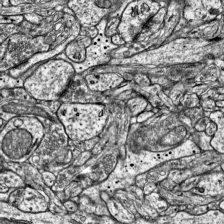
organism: Mouse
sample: Visual Cortex